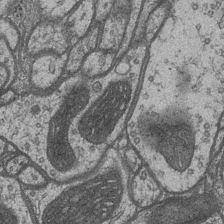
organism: Drosophila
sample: Optic medulla